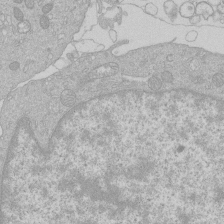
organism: Human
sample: Macrophage cells